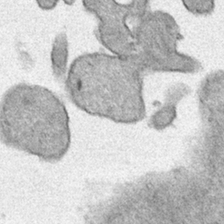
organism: Human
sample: Mitochondria in HCT116 cells